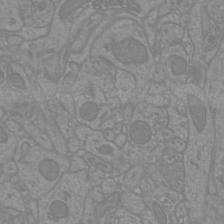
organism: Mouse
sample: Cortical neurons